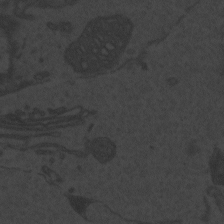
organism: Zebrafish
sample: Macrophage infected with Toxoplasma gondii